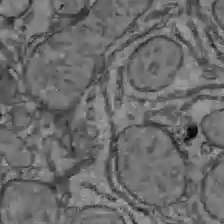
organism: C57BL Mouse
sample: Liver